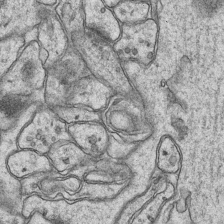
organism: Mouse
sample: CA1 Hippocampus